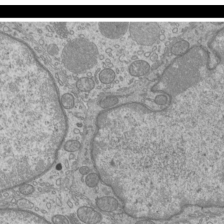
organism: Mouse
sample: Cilia; mouse epididymis